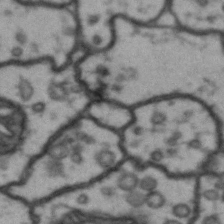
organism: Drosophila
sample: Brain